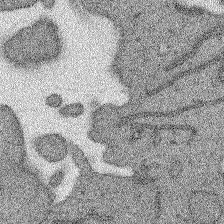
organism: Human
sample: HeLa cells